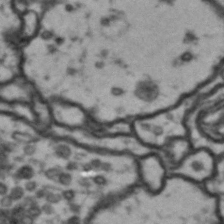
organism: Drosophila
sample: Brain